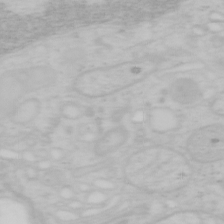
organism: Mouse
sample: OT-I killer T cells with ID8 ovarian cancer cells